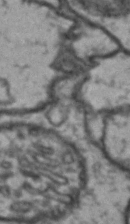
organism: Drosophila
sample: Brain